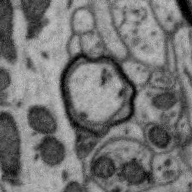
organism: Zebra finch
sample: Brain